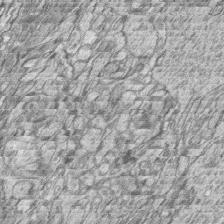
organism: Zebrafish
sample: synaptic ribbons in rod cells and cone cells